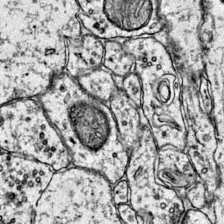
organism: Mouse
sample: Primary visual cortex